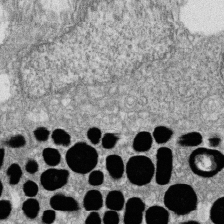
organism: Zebrafish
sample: Cilia; retinal pigment epithelium